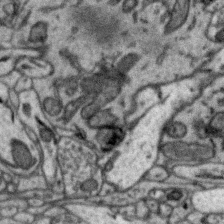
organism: Zebra finch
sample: Brain